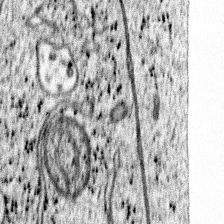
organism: Human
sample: HeLa cells